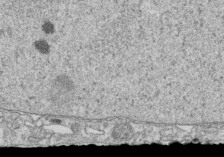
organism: Human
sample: HeLa cell HIV synapse